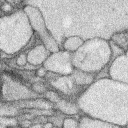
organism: Rabbit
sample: Retina